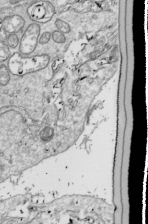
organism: Drosophila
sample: Cell division; meiosis; drosophila spermatocytes